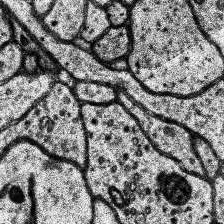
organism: Human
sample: Temporal Lobe